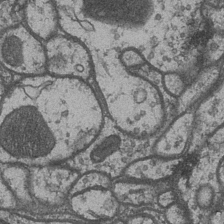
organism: Drosophila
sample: Optic medulla